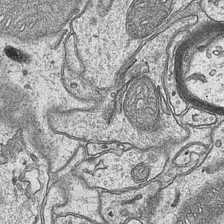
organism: Mouse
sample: CA1 Hippocampus